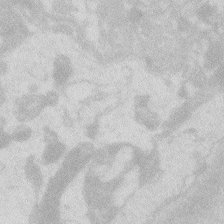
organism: Zebrafish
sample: Macrophage